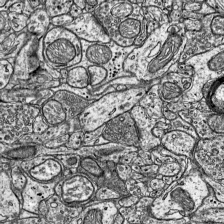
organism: Mouse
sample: Visual Cortex